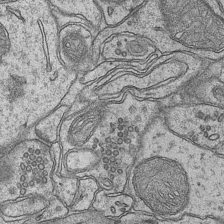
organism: Mouse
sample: CA1 Hippocampus